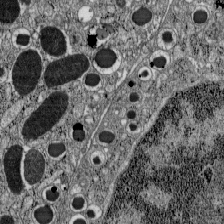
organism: C57BL Mouse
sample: Pancreatic islet